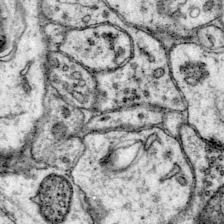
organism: Mouse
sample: Primary visual cortex